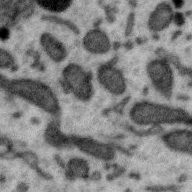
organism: Zebra finch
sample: Brain